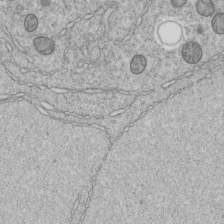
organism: C. elegans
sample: C. elegans embryo early stage